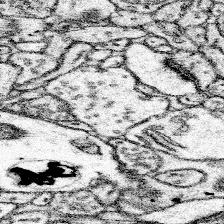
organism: Mouse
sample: Somatosensory cortex neuropil